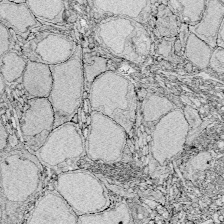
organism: Zebrafish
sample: Whole-Brain